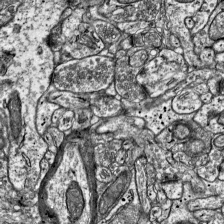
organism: Mouse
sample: Visual Cortex